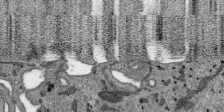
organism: Human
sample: Lung epithelial cells, uninfected (mock) control